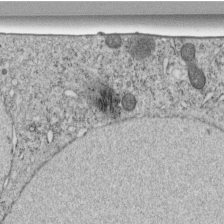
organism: C. elegans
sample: C. elegans embryo early stage